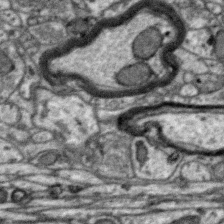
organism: Zebra finch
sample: Brain